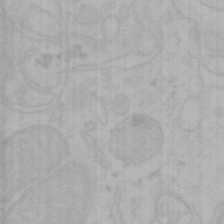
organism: Mouse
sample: Choroid plexus